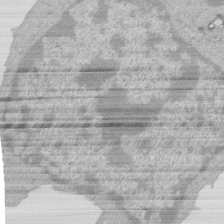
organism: Mouse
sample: Activated Pmel transgenic CD8+ T Cells